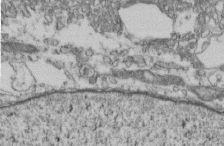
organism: Mouse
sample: Cilia; retinal pigment epithelium